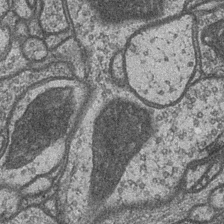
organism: Drosophila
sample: Optic medulla